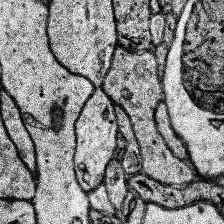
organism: Human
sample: Temporal Lobe